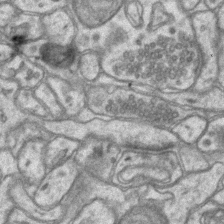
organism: Mouse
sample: CA1 Hippocampus